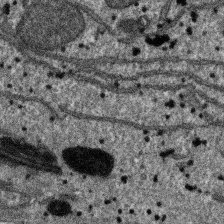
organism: Human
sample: Lung epithelial cells infected with SARS-CoV-2